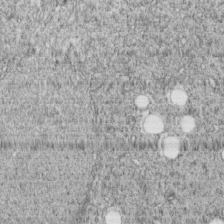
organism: C. elegans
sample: C. elegans embryo early stage